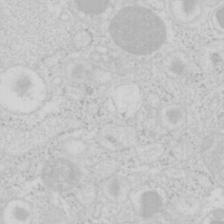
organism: Mouse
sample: Pancreas